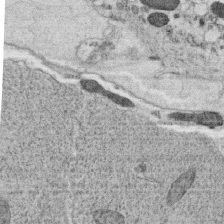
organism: C. elegans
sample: C. elegans oocyte; sperm cells